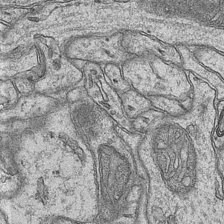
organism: Mouse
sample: CA1 Hippocampus